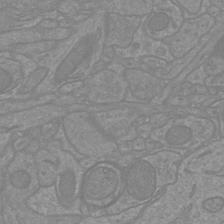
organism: Mouse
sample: Cortical neurons